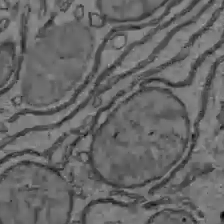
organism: C57BL Mouse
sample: Liver